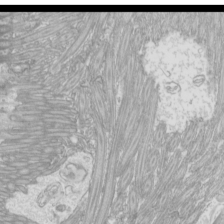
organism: Mouse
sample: Cilia; mouse epididymis